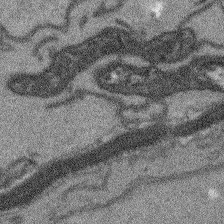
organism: Arabidopsis thaliana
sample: Root tip